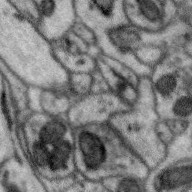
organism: Zebra finch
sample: Brain